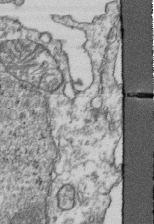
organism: Human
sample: Activated Jurkat CD4+ T cells